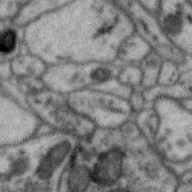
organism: Zebra finch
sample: Brain